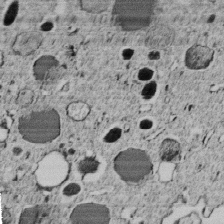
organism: C. elegans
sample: C. elegans embryo early stage